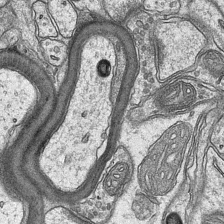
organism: Mouse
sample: CA1 Hippocampus